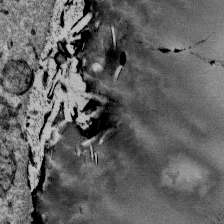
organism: Mouse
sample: Mouse Salivary gland